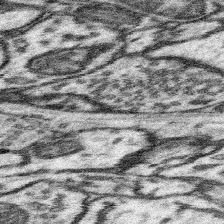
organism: Mouse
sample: Somatosensory cortex neuropil